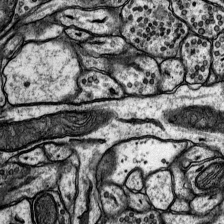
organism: Rat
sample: Hippocampus